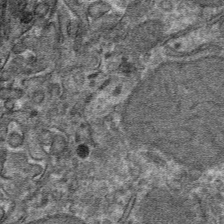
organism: Mouse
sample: Mouse hepatocytes